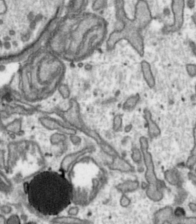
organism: Toxoplasma gondii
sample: Parasites in a vacuole inside a host cell